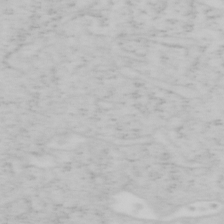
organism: Mouse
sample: OT-I killer T cells with ID8 ovarian cancer cells